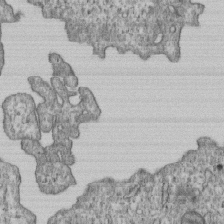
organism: Human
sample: MDA-MB-231 cells